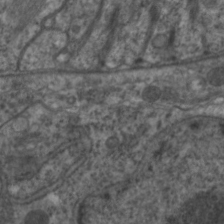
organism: C. elegans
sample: Pharynx